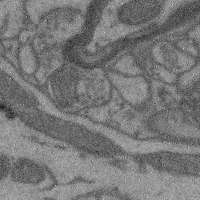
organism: Mouse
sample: Cerebral cortex